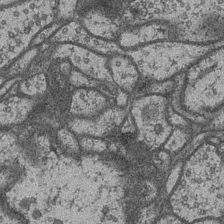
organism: Drosophila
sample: Optic medulla